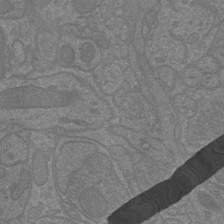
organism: Mouse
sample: Cortical neurons